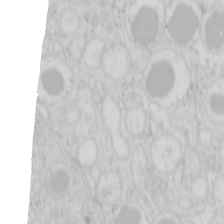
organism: Mouse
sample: Pancreas